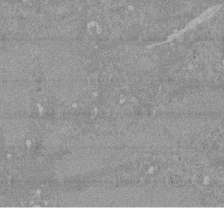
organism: Mouse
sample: ED-1 cell nuclei; centrioles